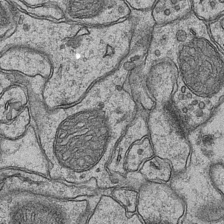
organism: Mouse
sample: CA1 Hippocampus